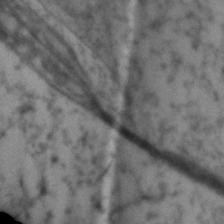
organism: Zebrafish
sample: Zebrafish embryo